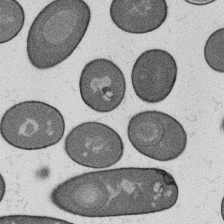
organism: B. subtilis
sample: Bacterial spore